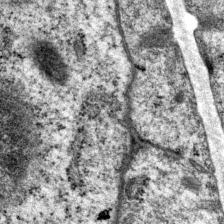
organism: P. pacificus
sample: Pharynx